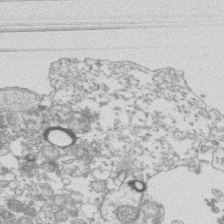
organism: Human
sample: HeLa cell HIV synapse